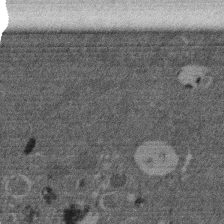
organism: Mouse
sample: Dividing mouse embryo 1 cell stage